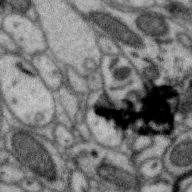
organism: Zebra finch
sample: Brain